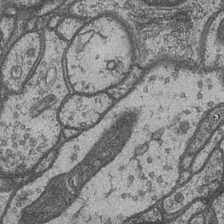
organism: Drosophila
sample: Optic medulla